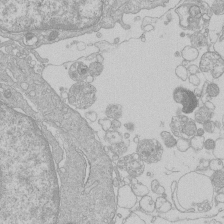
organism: Human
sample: Macrophage cells